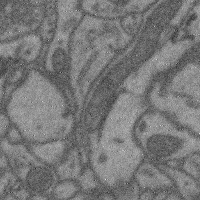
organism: Mouse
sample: Cerebral cortex